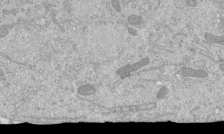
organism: Mouse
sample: ED-1 cell nuclei; centrioles